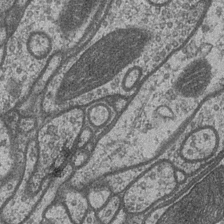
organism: Drosophila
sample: Optic medulla